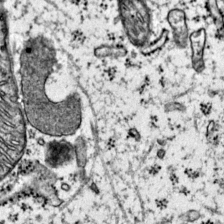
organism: Mouse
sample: Primary visual cortex